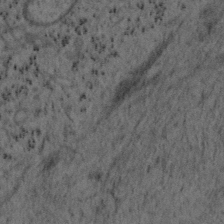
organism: Human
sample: HeLa cells